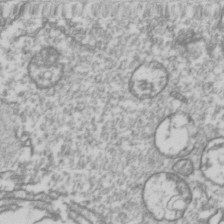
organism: Drosophila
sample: Cell division; meiosis; drosophila spermatocytes